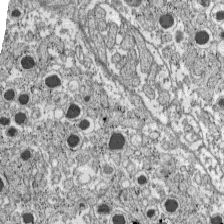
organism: C57BL Mouse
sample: Pancreatic islet